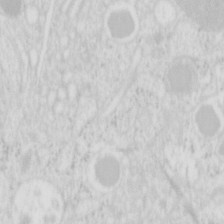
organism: Mouse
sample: Pancreas